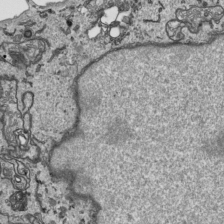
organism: Human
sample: Mitochondria in HCT116 cells